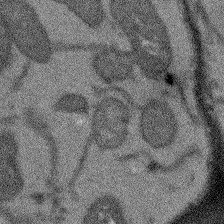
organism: Arabidopsis thaliana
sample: Root tip